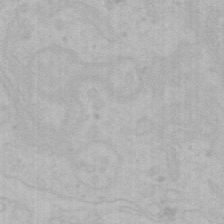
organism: Mouse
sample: Choroid plexus